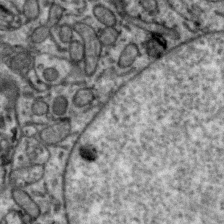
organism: Zebra finch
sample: Brain